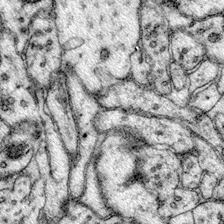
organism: Mouse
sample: Primary visual cortex